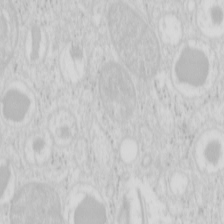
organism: Mouse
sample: Pancreas